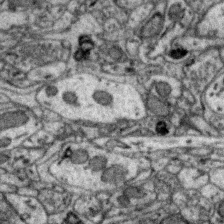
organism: Zebra finch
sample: Brain